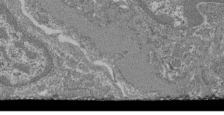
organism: Mouse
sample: Glomerulus